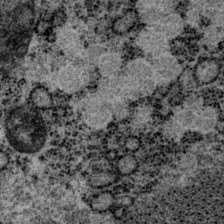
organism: P. pacificus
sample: Pharynx